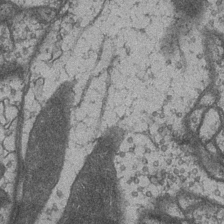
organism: Drosophila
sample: Optic medulla